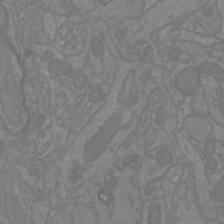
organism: Mouse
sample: Cortical neurons